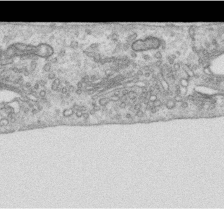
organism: Human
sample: Centriole in RPE cells